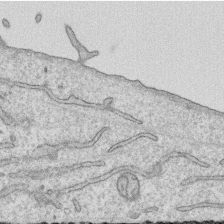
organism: Human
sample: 1205lu cells